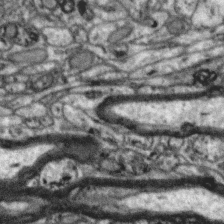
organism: Zebra finch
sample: Brain